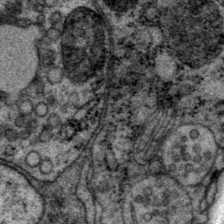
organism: P. pacificus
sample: Pharynx